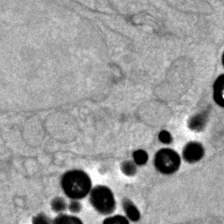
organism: Zebrafish